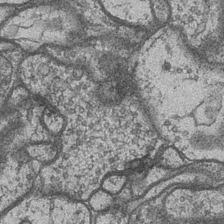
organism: Drosophila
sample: Optic medulla